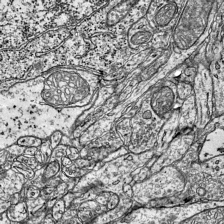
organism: Mouse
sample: Visual Cortex